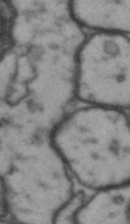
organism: Drosophila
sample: Brain